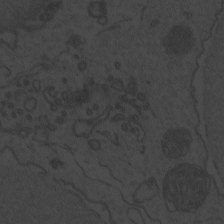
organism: Zebrafish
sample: Macrophage infected with Toxoplasma gondii